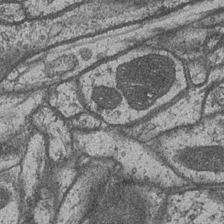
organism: Drosophila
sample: Optic medulla